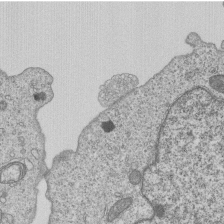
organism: Human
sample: MDA-MB-231 cells